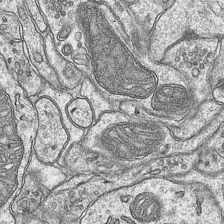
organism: Mouse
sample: CA1 Hippocampus